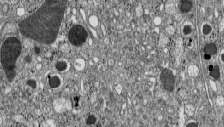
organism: C57BL Mouse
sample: Pancreatic islet